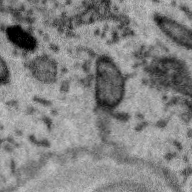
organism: Zebra finch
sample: Brain